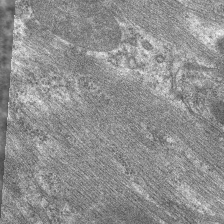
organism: C. elegans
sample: Pharynx